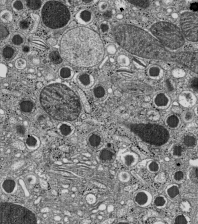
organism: C57BL Mouse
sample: Pancreatic islet